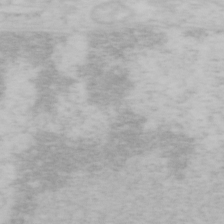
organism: Mouse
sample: OT-I killer T cells with ID8 ovarian cancer cells